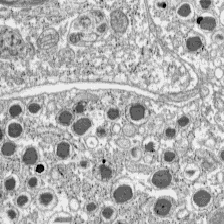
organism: C57BL Mouse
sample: Pancreatic islet